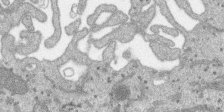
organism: Human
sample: Lung epithelial cells infected with SARS-CoV-2